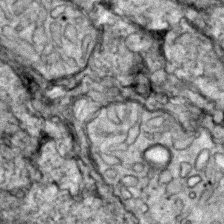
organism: Zebrafish